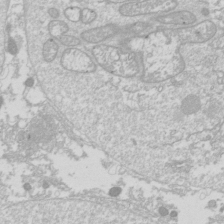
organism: Drosophila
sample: Cell division; meiosis; drosophila spermatocytes